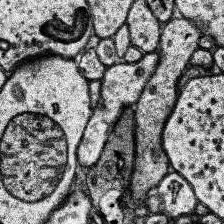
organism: Human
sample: Temporal Lobe